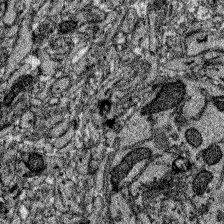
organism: Zebrafish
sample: Larval olfactory bulb